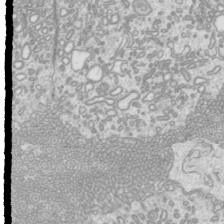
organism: Mouse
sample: Cilia; mouse epididymis